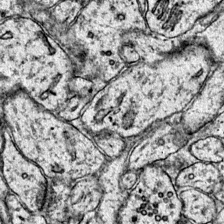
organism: Mouse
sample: Primary visual cortex